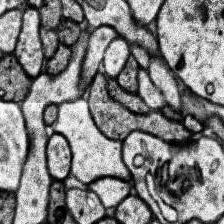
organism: Human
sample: Temporal Lobe